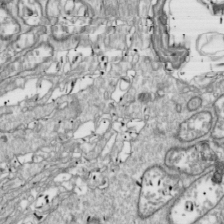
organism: Drosophila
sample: Cell division; meiosis; drosophila spermatocytes